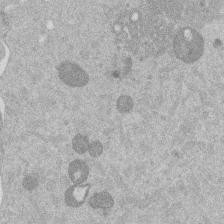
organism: Mouse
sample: Dividing mouse embryo 1 cell stage